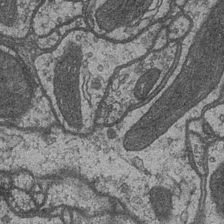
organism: Drosophila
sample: Optic medulla